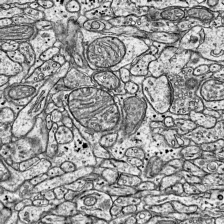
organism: Mouse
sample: Visual Cortex